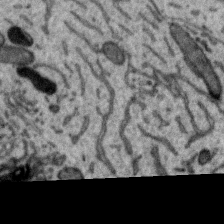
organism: Zebra finch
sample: Brain